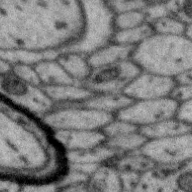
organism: Zebra finch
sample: Brain